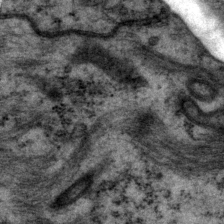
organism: P. pacificus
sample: Pharynx